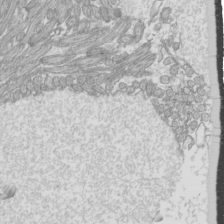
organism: Mouse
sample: Cilia; mouse epididymis